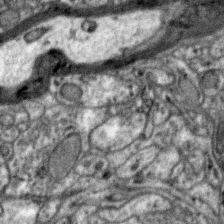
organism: Zebra finch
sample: Brain